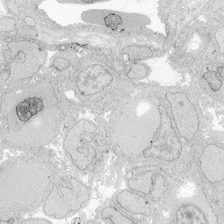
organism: Zebrafish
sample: Whole-Brain